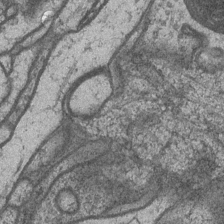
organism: Drosophila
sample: Optic medulla